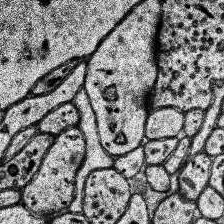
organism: Human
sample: Temporal Lobe